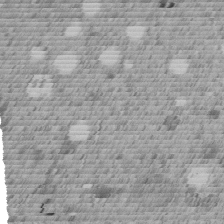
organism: C. elegans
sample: C. elegans embryo early stage